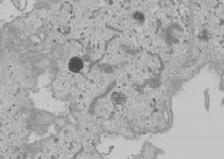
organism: Human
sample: Mitochondria in U2OS cells